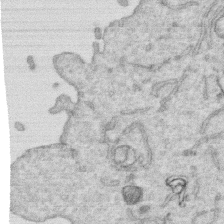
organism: Human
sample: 1205lu cells